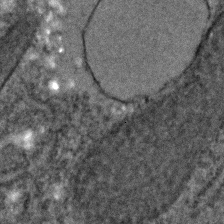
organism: C. elegans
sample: C. elegans embryo